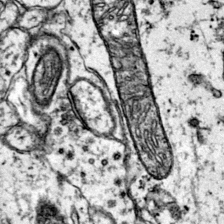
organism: Mouse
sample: Primary visual cortex